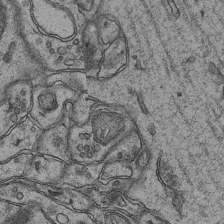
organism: Mouse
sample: CA1 Hippocampus